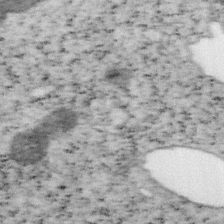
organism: Mouse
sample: OT-I killer T cells with ID8 ovarian cancer cells